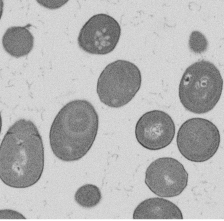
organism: B. subtilis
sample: Bacterial spore